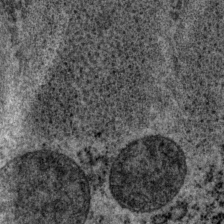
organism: P. pacificus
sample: Pharynx